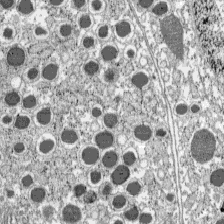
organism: C57BL Mouse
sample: Pancreatic islet